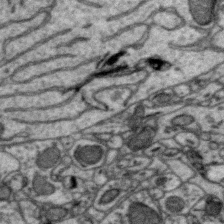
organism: Zebra finch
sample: Brain